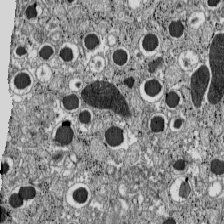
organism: C57BL Mouse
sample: Pancreatic islet